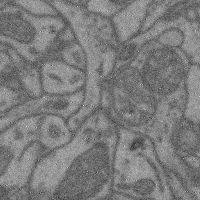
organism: Mouse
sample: Cerebral cortex